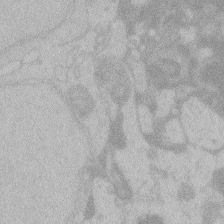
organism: Zebrafish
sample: Macrophage infected with Toxoplasma gondii